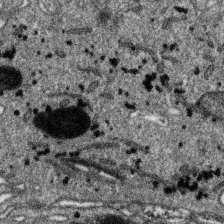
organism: Human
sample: Lung epithelial cells infected with SARS-CoV-2